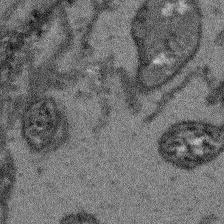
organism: Arabidopsis thaliana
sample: Root tip